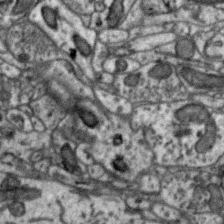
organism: Zebra finch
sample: Brain